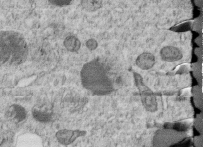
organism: C. elegans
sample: C. elegans embryo early stage